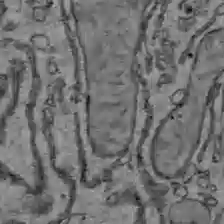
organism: C57BL Mouse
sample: Liver